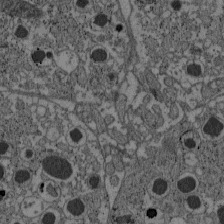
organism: C57BL Mouse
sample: Pancreatic islet